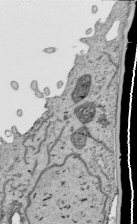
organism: Human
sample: Mitochondria in HCT116 cells